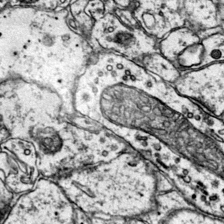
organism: Mouse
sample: Primary visual cortex